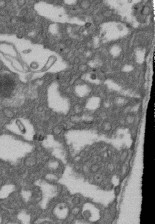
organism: Drosophila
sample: Nephrocyte